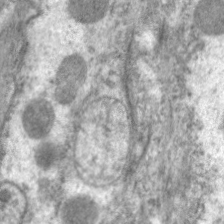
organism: C. elegans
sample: Pharynx